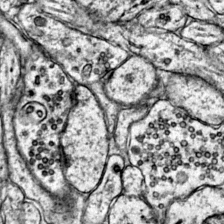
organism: Mouse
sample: Primary visual cortex